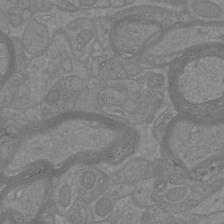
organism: Mouse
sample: Cortical neurons